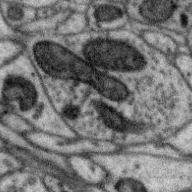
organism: Zebra finch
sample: Brain